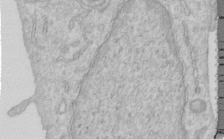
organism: Human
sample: Centriole in RPE cells